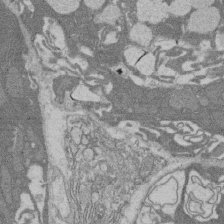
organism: Rat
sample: Salivary granule